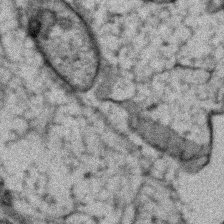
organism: Zebrafish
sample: Zebrafish embryo